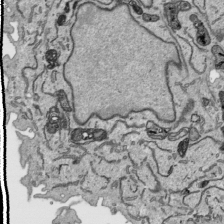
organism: Human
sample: Mitochondria in HCT116 cells